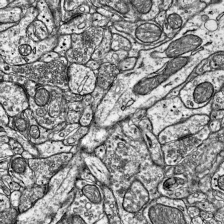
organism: Mouse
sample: Visual Cortex